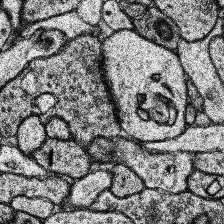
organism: Human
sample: Temporal Lobe